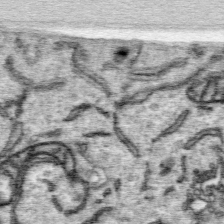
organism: Human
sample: HeLa cells